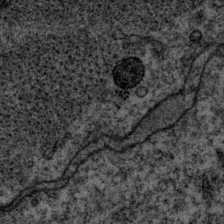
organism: P. pacificus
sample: Pharynx